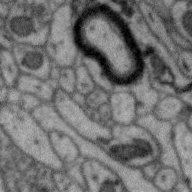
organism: Zebra finch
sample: Brain